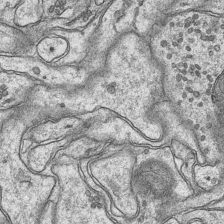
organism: Mouse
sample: CA1 Hippocampus